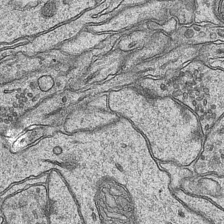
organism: Mouse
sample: CA1 Hippocampus